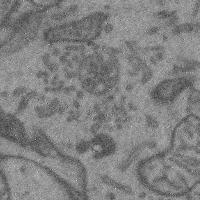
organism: Mouse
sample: Cerebral cortex